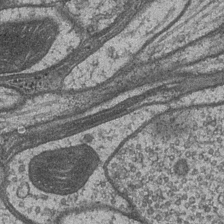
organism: Drosophila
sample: Optic medulla